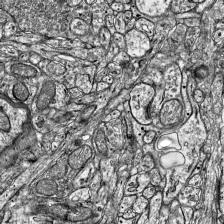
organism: Mouse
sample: Visual Cortex